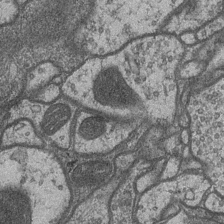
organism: Drosophila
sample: Optic medulla